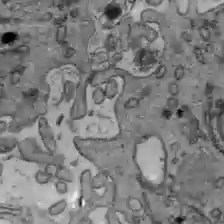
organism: C57BL Mouse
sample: Liver